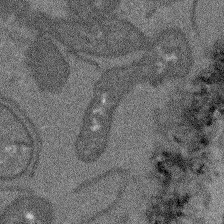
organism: Arabidopsis thaliana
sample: Root tip